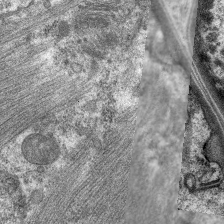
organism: C. elegans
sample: Pharynx